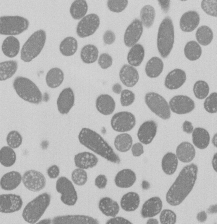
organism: E. coli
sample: Bacterial nucleoid